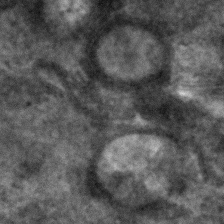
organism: C. elegans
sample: C. elegans embryo